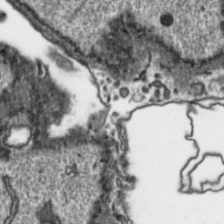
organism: Toxoplasma gondii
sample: Parasites in a vacuole inside a host cell